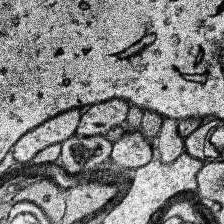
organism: Human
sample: Temporal Lobe